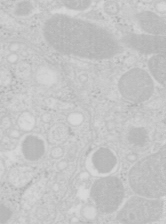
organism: Mouse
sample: Pancreas